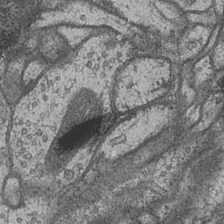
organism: Drosophila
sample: Optic medulla